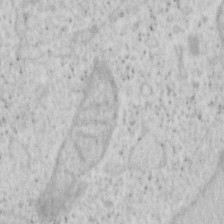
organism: Human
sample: HeLa cells